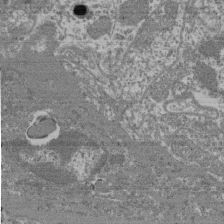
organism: Mouse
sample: Glomerulus